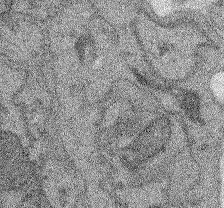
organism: Human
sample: HeLa cells